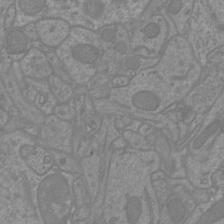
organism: Mouse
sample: Cortical neurons